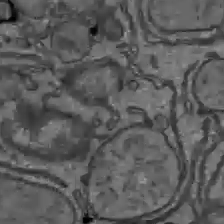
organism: C57BL Mouse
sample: Liver